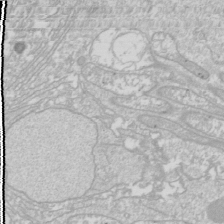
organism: Drosophila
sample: Cell division; meiosis; drosophila spermatocytes